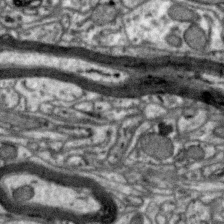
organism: Zebra finch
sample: Brain